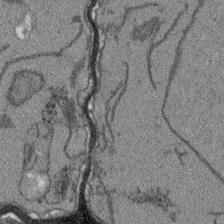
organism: Arabidopsis thaliana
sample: Root tip